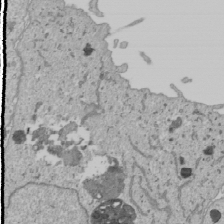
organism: Human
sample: Mitochondria in U2OS cells